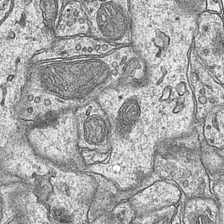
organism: Mouse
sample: CA1 Hippocampus